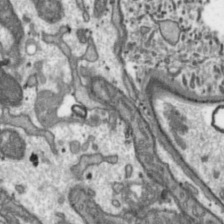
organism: Toxoplasma gondii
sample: Parasites in a vacuole inside a host cell